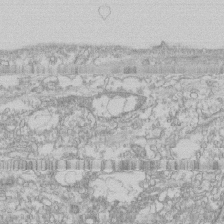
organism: Human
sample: CRL-1474